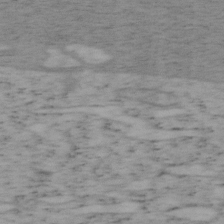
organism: Mouse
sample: OT-I killer T cells with ID8 ovarian cancer cells